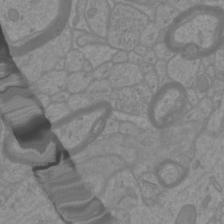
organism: Mouse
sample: Cortical neurons